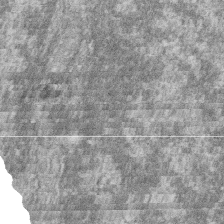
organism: Zebrafish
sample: Cilia; retinal pigment epithelium